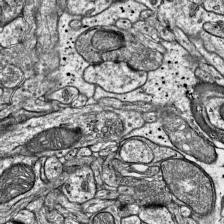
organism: Mouse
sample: Visual Cortex